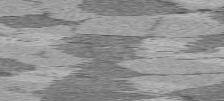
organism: C57BL Mouse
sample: Heart